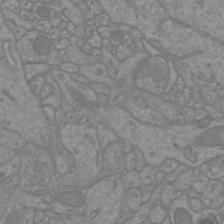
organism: Mouse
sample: Cortical neurons